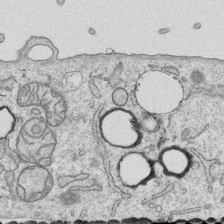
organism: Human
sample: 1205lu cells